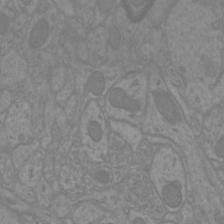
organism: Mouse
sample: Cortical neurons